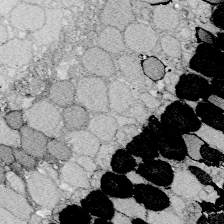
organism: Zebrafish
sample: Whole-Brain